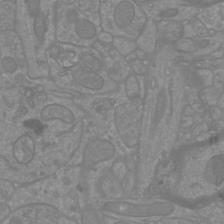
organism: Mouse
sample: Cortical neurons